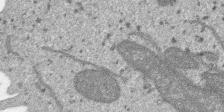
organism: Human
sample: Lung epithelial cells infected with SARS-CoV-2